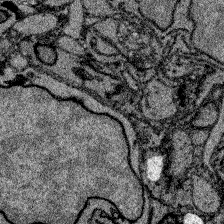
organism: Zebrafish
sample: Larval olfactory bulb